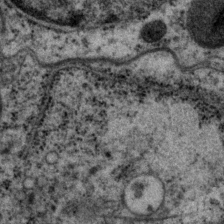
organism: P. pacificus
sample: Pharynx